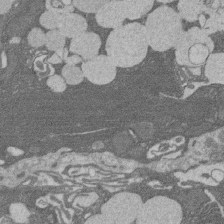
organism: Rat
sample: Salivary granule